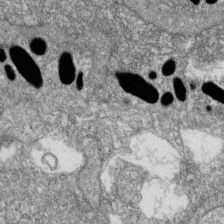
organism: Zebrafish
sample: Cilia; retinal pigment epithelium